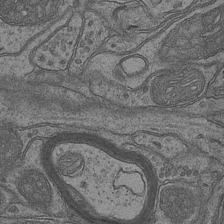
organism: Mouse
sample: CA1 Hippocampus